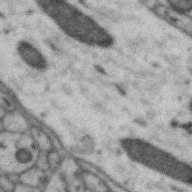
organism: Zebra finch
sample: Brain